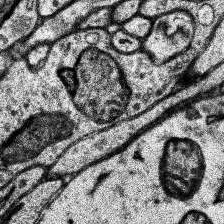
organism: Human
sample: Temporal Lobe